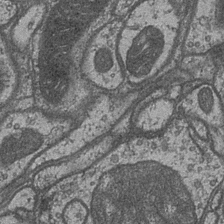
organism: Drosophila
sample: Optic medulla